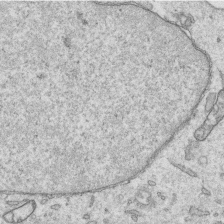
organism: Human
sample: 1205lu cells